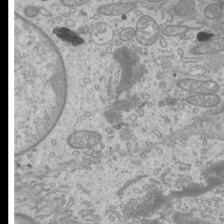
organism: Mouse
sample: Cilia; mouse epididymis